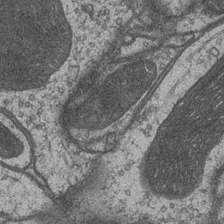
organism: Drosophila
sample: Optic medulla